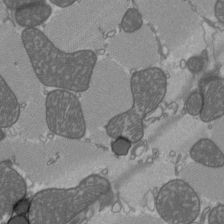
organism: C57BL Mouse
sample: Heart